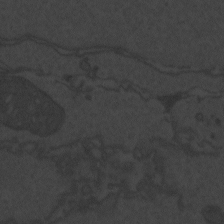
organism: Zebrafish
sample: Macrophage infected with Toxoplasma gondii